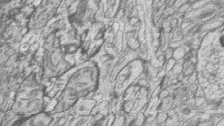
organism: Zebrafish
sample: synaptic ribbons in rod cells and cone cells